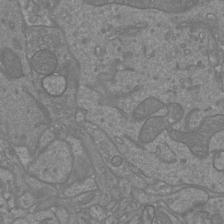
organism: Mouse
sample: Cortical neurons